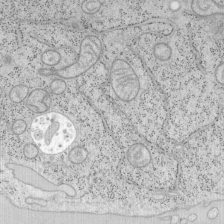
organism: Mouse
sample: OT-I killer T cells with ID8 ovarian cancer cells